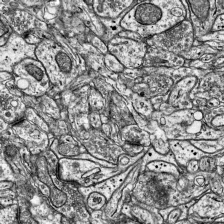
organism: Mouse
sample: Visual Cortex